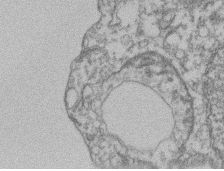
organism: Mouse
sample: T cell stromal cell synapse